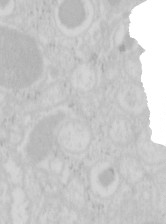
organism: Mouse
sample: Pancreas